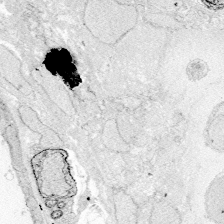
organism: Zebrafish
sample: Whole-Brain